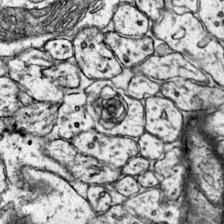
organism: Mouse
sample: Primary visual cortex